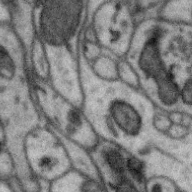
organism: Zebra finch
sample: Brain